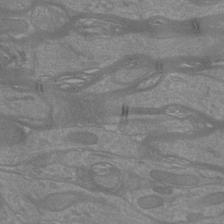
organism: Mouse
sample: Cortical neurons